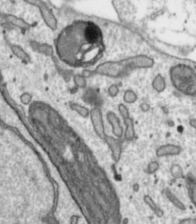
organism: Toxoplasma gondii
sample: Parasites in a vacuole inside a host cell